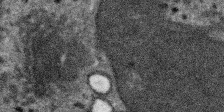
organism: Human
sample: Lung epithelial cells infected with SARS-CoV-2